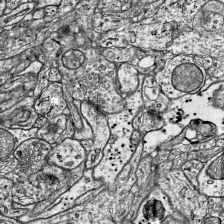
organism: Mouse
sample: Visual Cortex